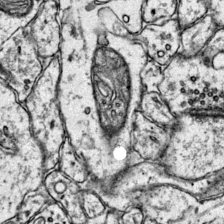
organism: Mouse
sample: Primary visual cortex